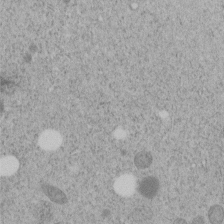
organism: C. elegans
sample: C. elegans embryo early stage